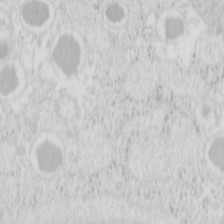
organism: Mouse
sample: Pancreas